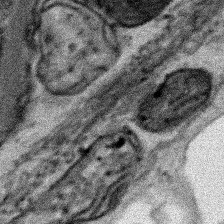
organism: Human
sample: Mitochondria in HCT116 cells